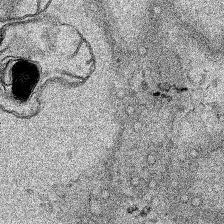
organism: Human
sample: Mitochondria in HCT116 cells